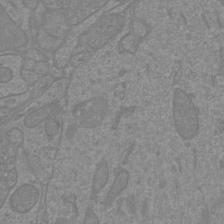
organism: Mouse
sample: Cortical neurons